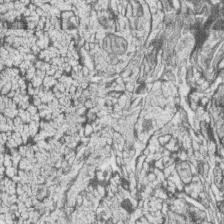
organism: Zebrafish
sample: synaptic ribbons in rod cells and cone cells